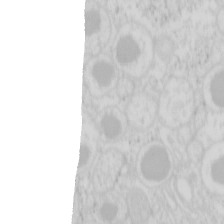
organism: Mouse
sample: Pancreas